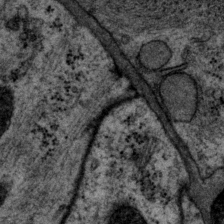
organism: P. pacificus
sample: Pharynx